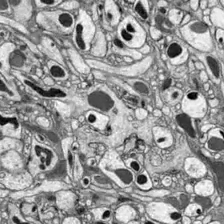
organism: Drosophila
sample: Optic lobe